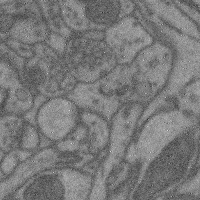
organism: Mouse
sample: Cerebral cortex